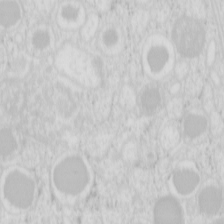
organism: Mouse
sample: Pancreas